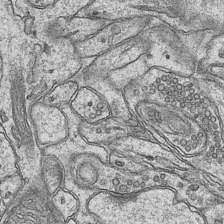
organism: Mouse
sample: CA1 Hippocampus